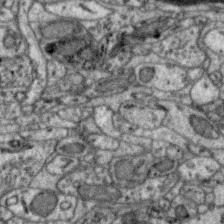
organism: Zebra finch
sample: Brain